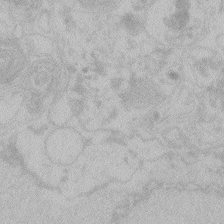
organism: Zebrafish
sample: Macrophage infected with Toxoplasma gondii